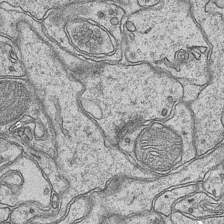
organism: Mouse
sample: CA1 Hippocampus